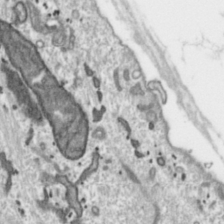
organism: Toxoplasma gondii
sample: Parasites in a vacuole inside a host cell